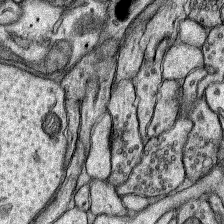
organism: Rat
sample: Hippocampus